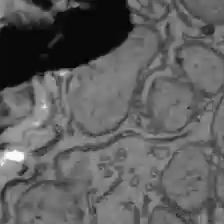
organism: C57BL Mouse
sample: Liver